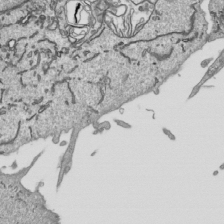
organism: Human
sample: Mitochondria in HCT116 cells